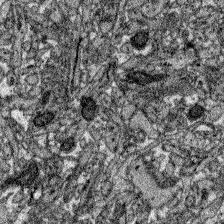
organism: Zebrafish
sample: Larval olfactory bulb